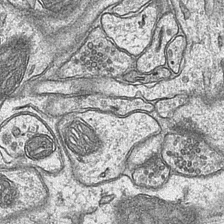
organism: Mouse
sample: CA1 Hippocampus